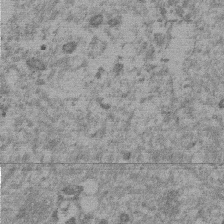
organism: Mouse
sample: Dividing mouse embryo 1 cell stage